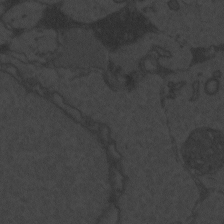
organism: Zebrafish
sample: Macrophage infected with Toxoplasma gondii